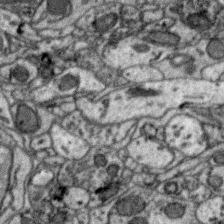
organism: Zebra finch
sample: Brain